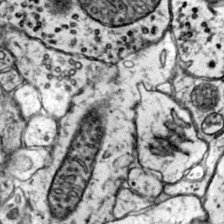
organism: Mouse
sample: Primary visual cortex